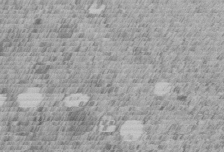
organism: C. elegans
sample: C. elegans embryo early stage